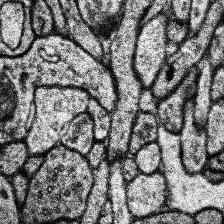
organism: Human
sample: Temporal Lobe